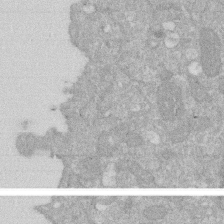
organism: Human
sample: HIV infected U937 cells